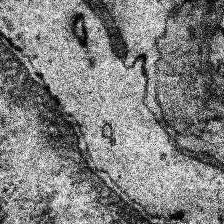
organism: Human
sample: Temporal Lobe